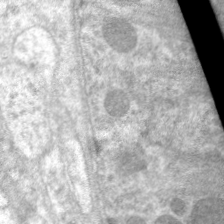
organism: C. elegans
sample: Pharynx